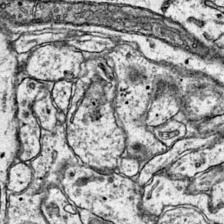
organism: Mouse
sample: Primary visual cortex